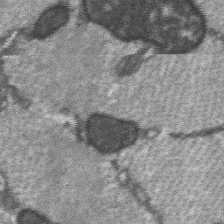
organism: C57BL Mouse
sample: Soleus